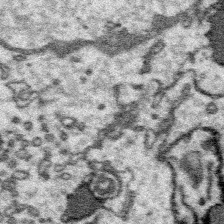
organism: Platynereis dumerilii